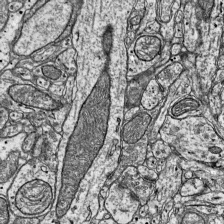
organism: Mouse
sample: Visual Cortex